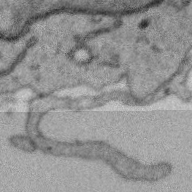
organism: Zebra finch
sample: Brain